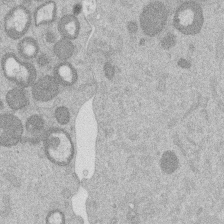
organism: Mouse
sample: Dividing mouse embryo 1 cell stage